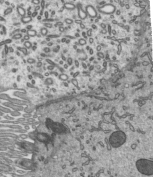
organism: Mouse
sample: Mouse epididymis efferent ductule cilia